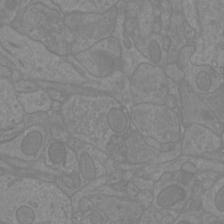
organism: Mouse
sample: Cortical neurons